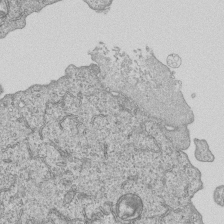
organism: Human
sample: MDA-MB-231 cells